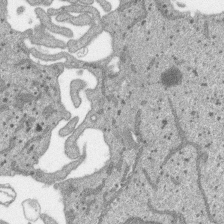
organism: Human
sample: Lung epithelial cells infected with SARS-CoV-2